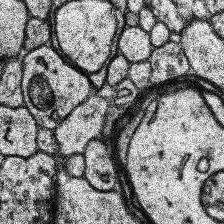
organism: Human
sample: Temporal Lobe